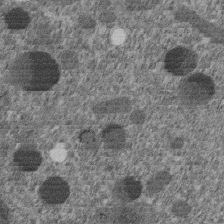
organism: C. elegans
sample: C. elegans embryo early stage